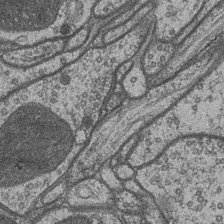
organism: Drosophila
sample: Optic medulla